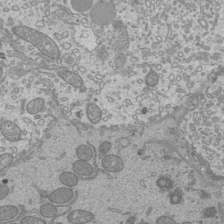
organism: Mouse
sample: Cilia; mouse epididymis